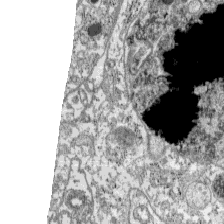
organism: C57BL Mouse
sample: Pancreatic islet